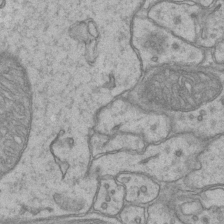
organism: Mouse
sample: CA1 Hippocampus